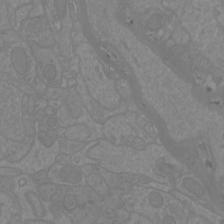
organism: Mouse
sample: Cortical neurons